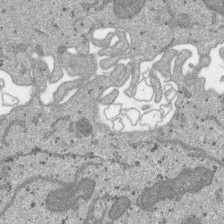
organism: Human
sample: Lung epithelial cells infected with SARS-CoV-2